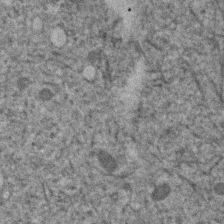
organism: Human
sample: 1205lu cells